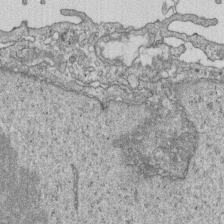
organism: Human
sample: HeLa cell HIV synapse